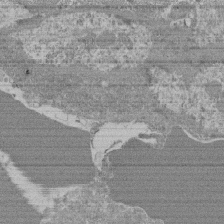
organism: Mouse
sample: Glomerulus